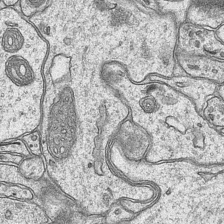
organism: Mouse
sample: CA1 Hippocampus